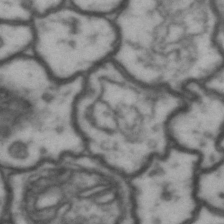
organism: Drosophila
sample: Brain